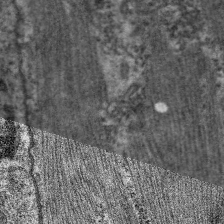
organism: C. elegans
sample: Pharynx